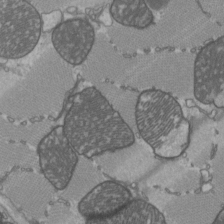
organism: C57BL Mouse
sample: Heart